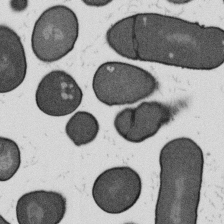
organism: B. subtilis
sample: Bacterial spore